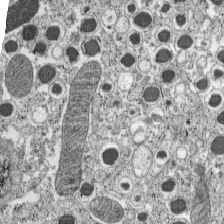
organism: C57BL Mouse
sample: Pancreatic islet